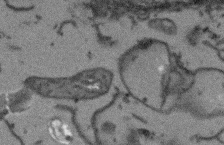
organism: Arabidopsis thaliana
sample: Root tip